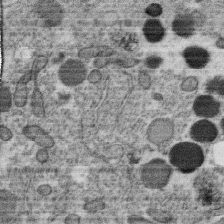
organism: C. elegans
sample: C. elegans oocyte; sperm cells